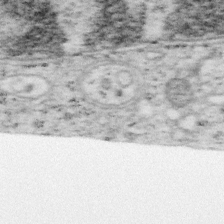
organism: Mouse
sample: OT-I killer T cells with ID8 ovarian cancer cells